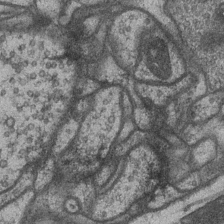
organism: Drosophila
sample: Optic medulla